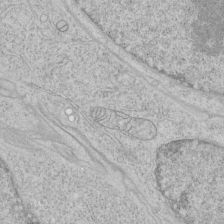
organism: Human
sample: Mitochondria in HCT116 cells